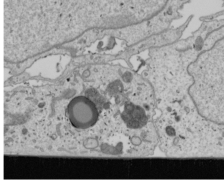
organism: Human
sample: Mitochondria in U2OS cells